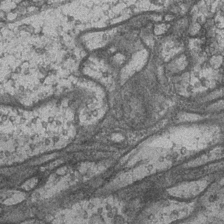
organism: Drosophila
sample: Optic medulla